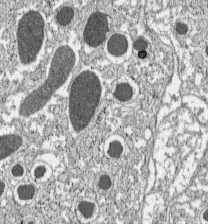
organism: C57BL Mouse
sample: Pancreatic islet